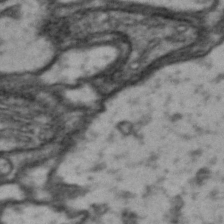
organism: Drosophila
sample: Brain